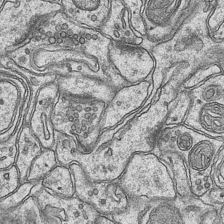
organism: Mouse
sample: CA1 Hippocampus